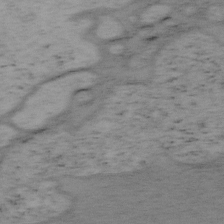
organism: Mouse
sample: OT-I killer T cells with ID8 ovarian cancer cells